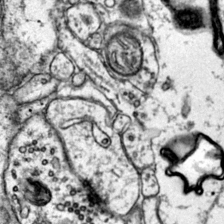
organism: Mouse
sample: Primary visual cortex